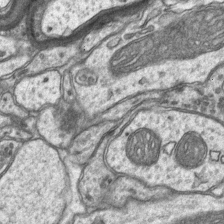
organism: Mouse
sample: CA1 Hippocampus